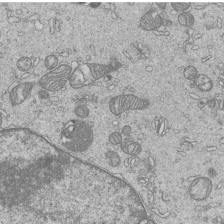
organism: Human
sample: MDA-MB-231 cells